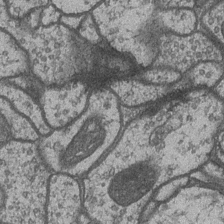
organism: Drosophila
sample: Optic medulla